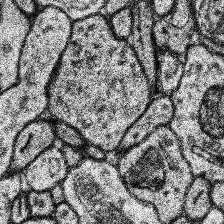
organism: Human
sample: Temporal Lobe